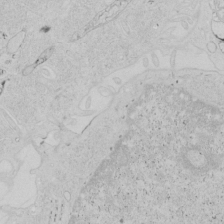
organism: Human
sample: Mitochondria in HCT116 cells